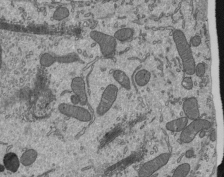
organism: Mouse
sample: Mouse epididymis efferent ductule cilia